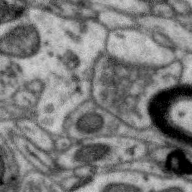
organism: Zebra finch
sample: Brain